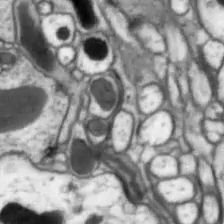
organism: Drosophila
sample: Optic lobe